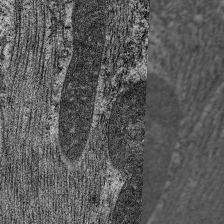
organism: C. elegans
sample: Pharynx